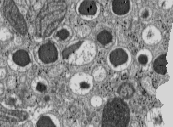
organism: C57BL Mouse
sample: Pancreatic islet